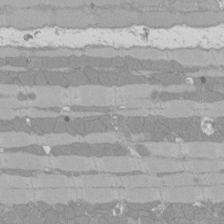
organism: Rat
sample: Left ventricle